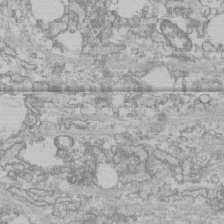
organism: Human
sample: CRL-1474